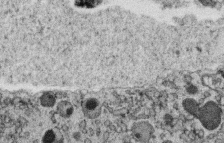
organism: C. elegans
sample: C. elegans oocyte; sperm cells